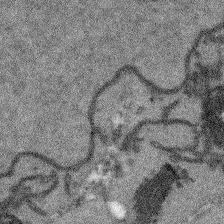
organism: Arabidopsis thaliana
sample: Root tip